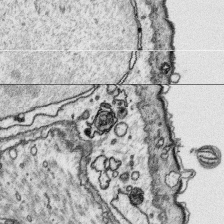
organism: Platynereis dumerilii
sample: Parapodia